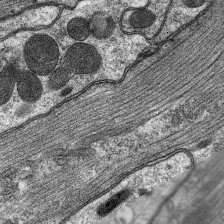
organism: C. elegans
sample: Pharynx